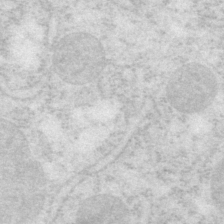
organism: P. pacificus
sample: Pharynx